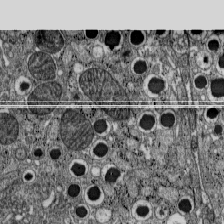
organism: C57BL Mouse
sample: Pancreatic islet